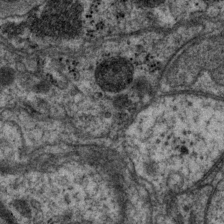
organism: P. pacificus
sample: Pharynx